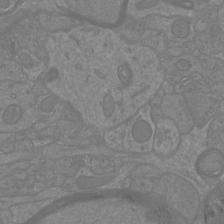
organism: Mouse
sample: Cortical neurons